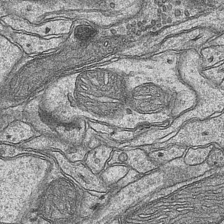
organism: Mouse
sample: CA1 Hippocampus